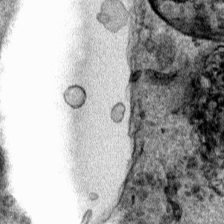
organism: Human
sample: Mitochondria in HCT116 cells